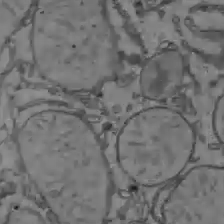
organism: C57BL Mouse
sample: Liver